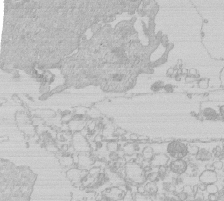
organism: Human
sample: Macrophage cells